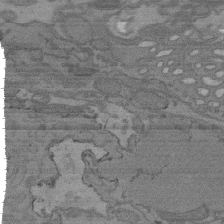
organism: C. elegans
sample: AFD neurons C. elegans